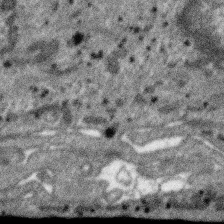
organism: Human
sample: Lung epithelial cells infected with SARS-CoV-2